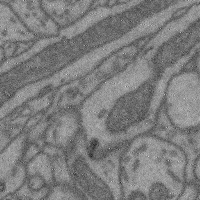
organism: Mouse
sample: Cerebral cortex